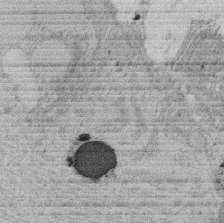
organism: Rat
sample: Salivary granule